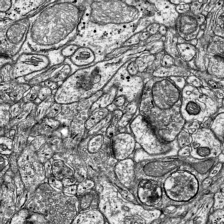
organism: Mouse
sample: Visual Cortex